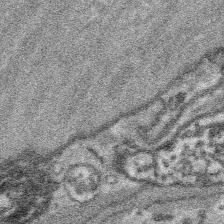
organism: Platynereis dumerilii